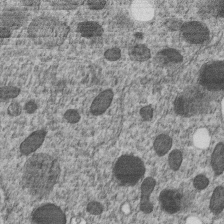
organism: C. elegans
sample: C. elegans embryo early stage